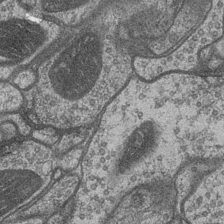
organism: Drosophila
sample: Optic medulla